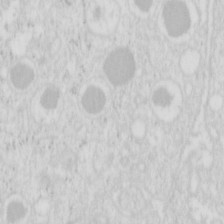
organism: Mouse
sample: Pancreas